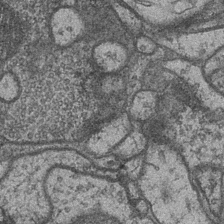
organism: Drosophila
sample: Optic medulla